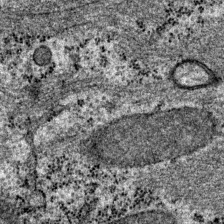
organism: P. pacificus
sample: Pharynx